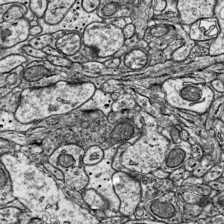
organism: Mouse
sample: Visual Cortex